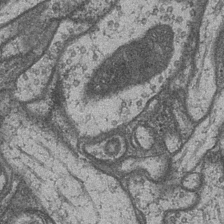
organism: Drosophila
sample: Optic medulla